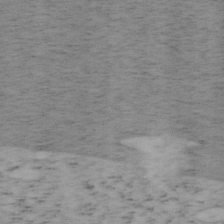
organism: Mouse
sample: OT-I killer T cells with ID8 ovarian cancer cells